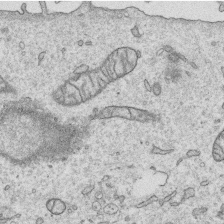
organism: Human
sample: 1205lu cells